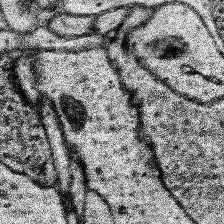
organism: Human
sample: Temporal Lobe